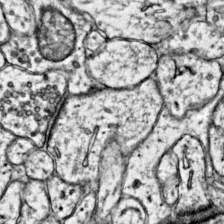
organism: Mouse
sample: Primary visual cortex